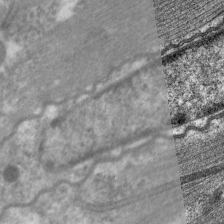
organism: C. elegans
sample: Pharynx